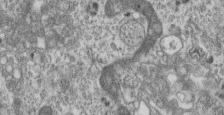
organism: Mouse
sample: Centriole in ependymal cells